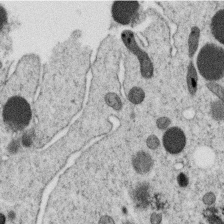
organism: C. elegans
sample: C. elegans oocyte; sperm cells